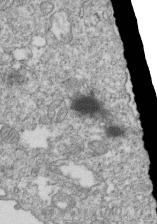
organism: Human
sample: HeLa cell HIV synapse